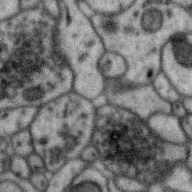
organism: Zebra finch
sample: Brain